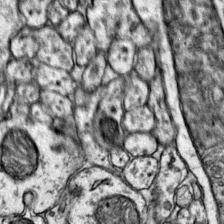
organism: Mouse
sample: Primary visual cortex